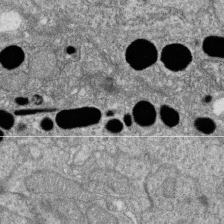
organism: Zebrafish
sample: Cilia; retinal pigment epithelium